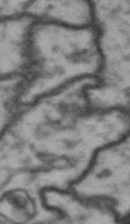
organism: Drosophila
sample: Brain